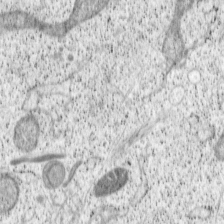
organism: African green monkey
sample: COS-7 cells